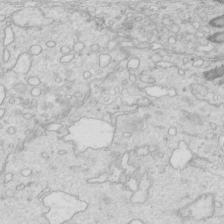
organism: Mouse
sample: Multiciliated cells